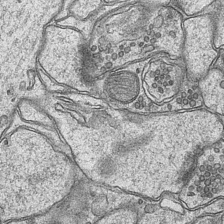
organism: Mouse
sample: CA1 Hippocampus